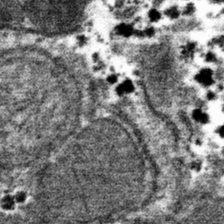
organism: Mouse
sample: Mouse hepatocytes